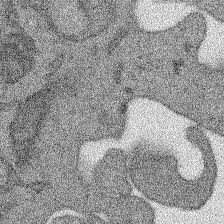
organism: Human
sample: HeLa cells